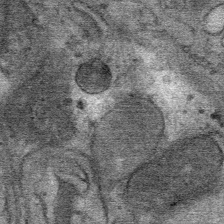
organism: Mouse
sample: Mouse Salivary gland